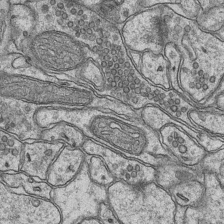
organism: Mouse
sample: CA1 Hippocampus